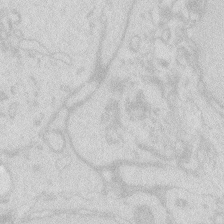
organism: Zebrafish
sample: Macrophage